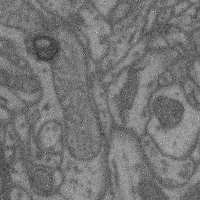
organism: Mouse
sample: Cerebral cortex